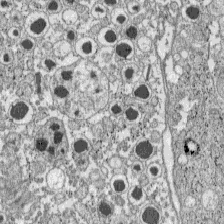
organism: C57BL Mouse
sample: Pancreatic islet